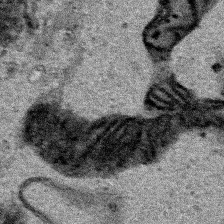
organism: Human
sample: Mitochondria in HCT116 cells